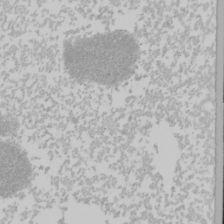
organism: Mouse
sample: Cancer cell death in ED-1 cells